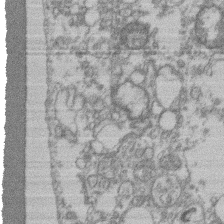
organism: Mouse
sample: T cell stromal cell synapse